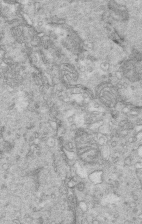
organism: Mouse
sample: Multiciliated cells